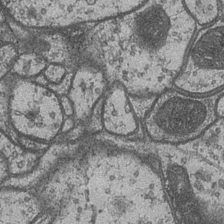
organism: Drosophila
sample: Optic medulla